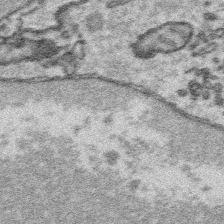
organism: Platynereis dumerilii